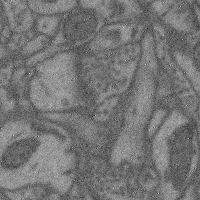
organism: Mouse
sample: Cerebral cortex